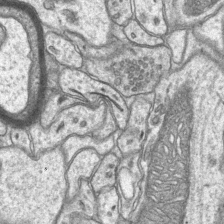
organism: Mouse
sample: CA1 Hippocampus